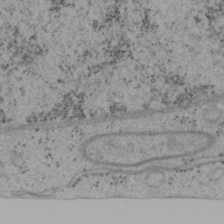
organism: Human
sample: HeLa cells